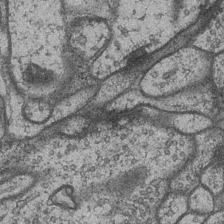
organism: Drosophila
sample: Optic medulla